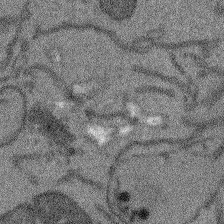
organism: Arabidopsis thaliana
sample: Root tip